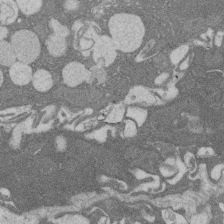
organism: Rat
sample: Salivary granule